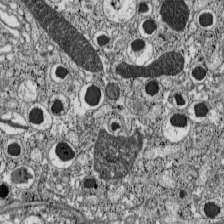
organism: C57BL Mouse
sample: Pancreatic islet